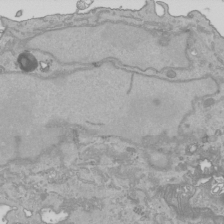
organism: Human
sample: Mitochondria in HCT116 cells